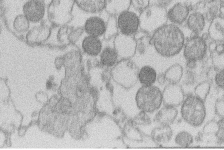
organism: Human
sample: Macrophage cells